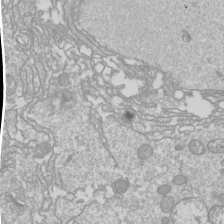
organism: Drosophila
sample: Cell division; meiosis; drosophila spermatocytes